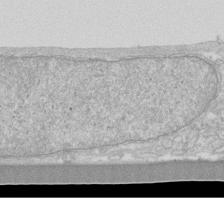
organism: Human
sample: Fibroblast cells